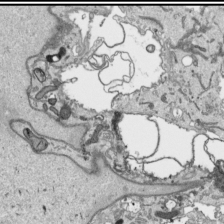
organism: Human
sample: Mitochondria in HCT116 cells